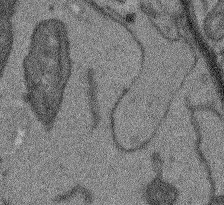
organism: Arabidopsis thaliana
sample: Root tip